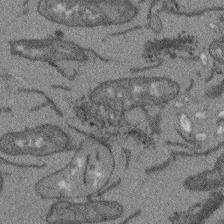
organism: Arabidopsis thaliana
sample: Root tip